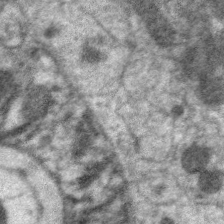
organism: C. elegans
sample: Pharynx